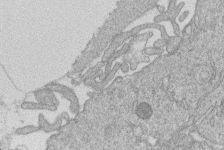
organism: Human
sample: Macrophage cells